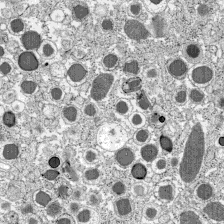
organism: C57BL Mouse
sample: Pancreatic islet